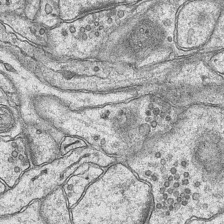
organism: Mouse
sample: CA1 Hippocampus